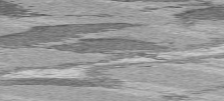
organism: C57BL Mouse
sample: Heart